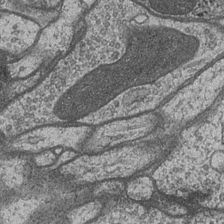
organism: Drosophila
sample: Optic medulla